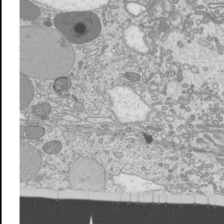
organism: Mouse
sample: Cilia; mouse epididymis